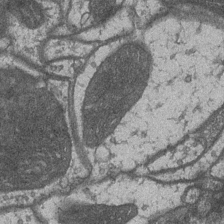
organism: Drosophila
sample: Optic medulla